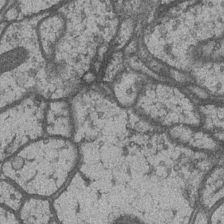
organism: Drosophila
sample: Optic medulla